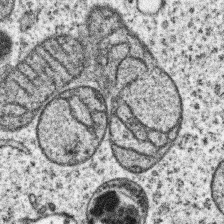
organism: Human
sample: HeLa cells